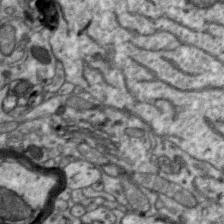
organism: Zebra finch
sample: Brain